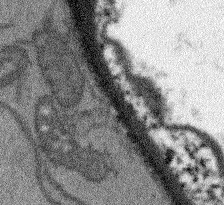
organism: Arabidopsis thaliana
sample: Root tip